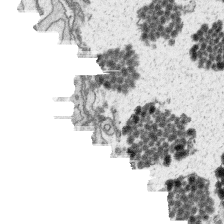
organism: Platynereis dumerilii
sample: Parapodia